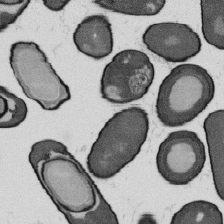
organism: B. subtilis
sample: Bacterial spore